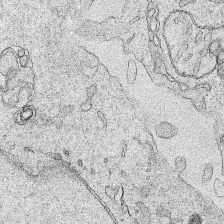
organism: Human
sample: Mitochondria in HCT116 cells